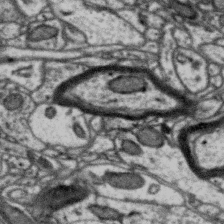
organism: Zebra finch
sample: Brain